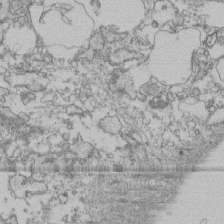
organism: Human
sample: Fibroblast cells